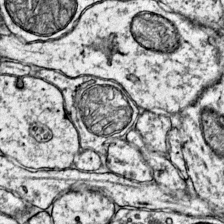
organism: Mouse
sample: Primary visual cortex